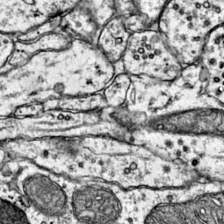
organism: Mouse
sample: Primary visual cortex